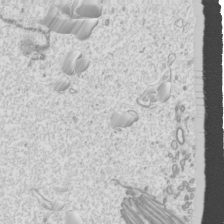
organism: Mouse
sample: Cilia; mouse epididymis